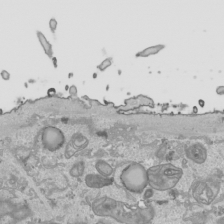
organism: Human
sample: Mitochondria in HCT116 cells